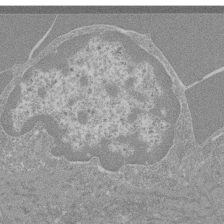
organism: Mouse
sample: Glomerulus